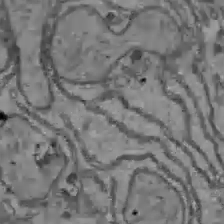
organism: C57BL Mouse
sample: Liver